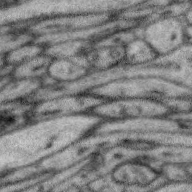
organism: Zebra finch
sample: Brain